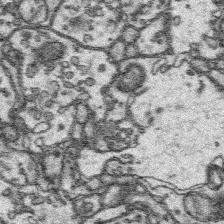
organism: Platynereis dumerilii